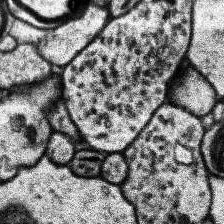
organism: Human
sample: Temporal Lobe